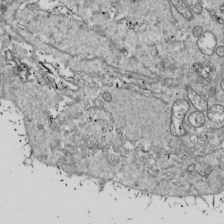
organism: Drosophila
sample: Cell division; meiosis; drosophila spermatocytes